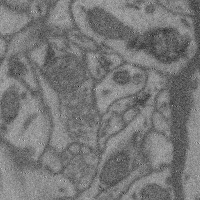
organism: Mouse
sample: Cerebral cortex